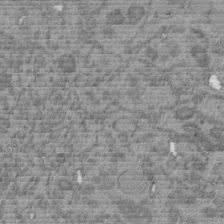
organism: C. elegans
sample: C. elegans embryo early stage